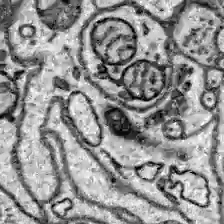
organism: Zebrafish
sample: Brain